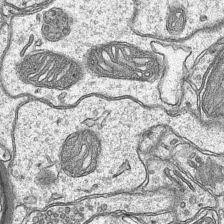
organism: Mouse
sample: CA1 Hippocampus